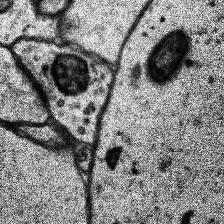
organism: Human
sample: Temporal Lobe